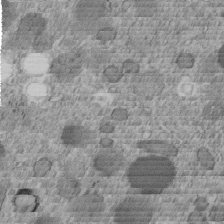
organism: C. elegans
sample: C. elegans embryo early stage